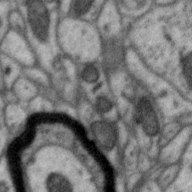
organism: Zebra finch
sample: Brain